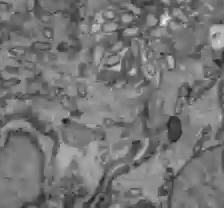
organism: C57BL Mouse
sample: Liver